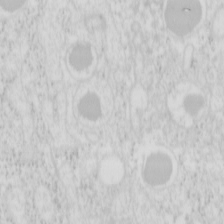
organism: Mouse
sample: Pancreas